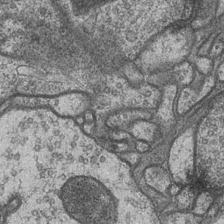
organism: Drosophila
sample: Optic medulla